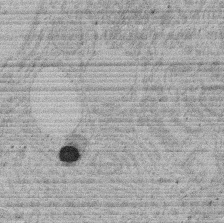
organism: Rat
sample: Salivary granule